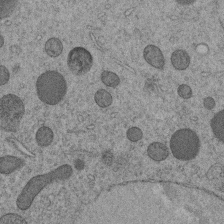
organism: C. elegans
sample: C. elegans embryo early stage